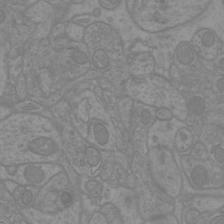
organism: Mouse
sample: Cortical neurons